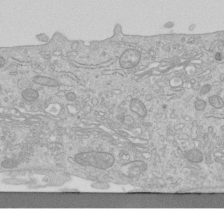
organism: Human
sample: Centriole in RPE cells